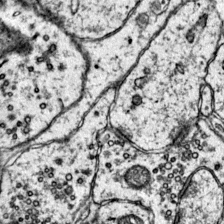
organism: Mouse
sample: Primary visual cortex